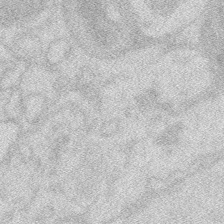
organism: Zebrafish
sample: Macrophage